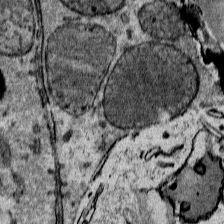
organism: Mouse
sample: Mouse Salivary gland